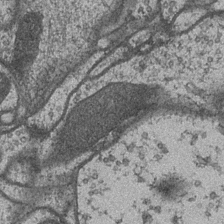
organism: Drosophila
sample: Optic medulla